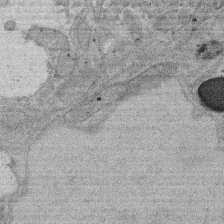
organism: Rat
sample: Salivary granule